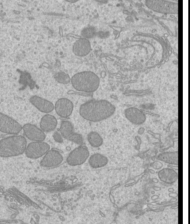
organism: Mouse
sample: Cilia; mouse epididymis